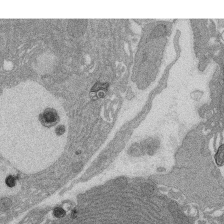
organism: Rat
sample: Salivary granule